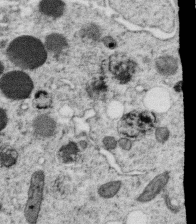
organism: C. elegans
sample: C. elegans oocyte; sperm cells